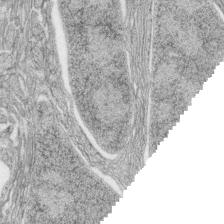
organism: Zebrafish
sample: synaptic ribbons in rod cells and cone cells